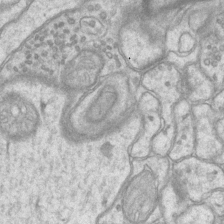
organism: Mouse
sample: CA1 Hippocampus